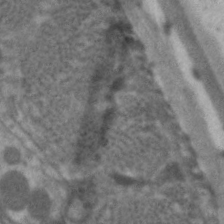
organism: C. elegans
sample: Pharynx